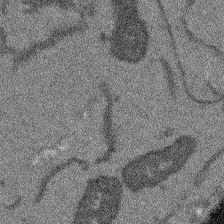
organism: Arabidopsis thaliana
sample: Root tip